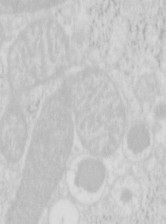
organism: Mouse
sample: Pancreas